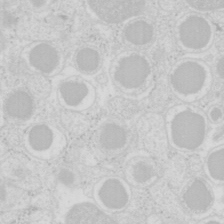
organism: Mouse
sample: Pancreas